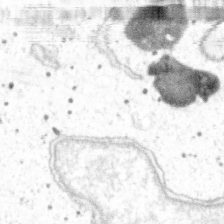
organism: Human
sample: HeLa cells